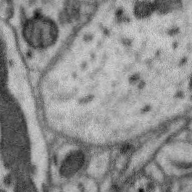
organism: Zebra finch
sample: Brain